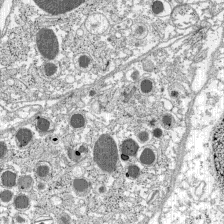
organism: C57BL Mouse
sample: Pancreatic islet